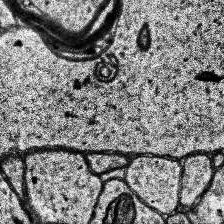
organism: Human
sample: Temporal Lobe